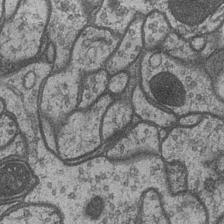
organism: Drosophila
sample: Optic medulla